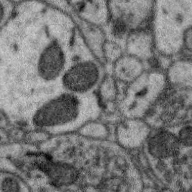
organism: Zebra finch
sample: Brain